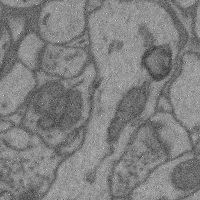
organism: Mouse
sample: Cerebral cortex